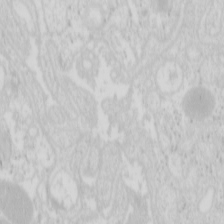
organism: Mouse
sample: Pancreas